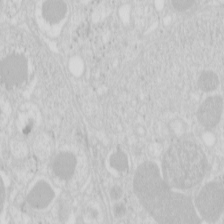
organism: Mouse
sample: Pancreas